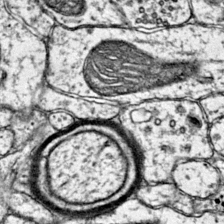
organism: Mouse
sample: Primary visual cortex